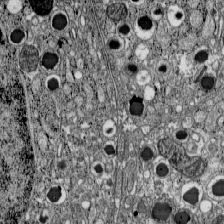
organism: C57BL Mouse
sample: Pancreatic islet